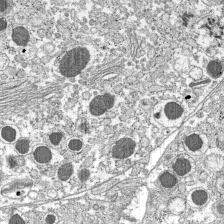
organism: C57BL Mouse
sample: Pancreatic islet